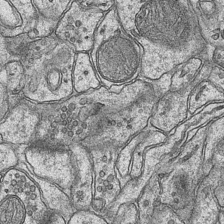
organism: Mouse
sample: CA1 Hippocampus